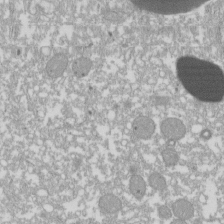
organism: Xenopus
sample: Cilia; centrioles in frog embryo cells